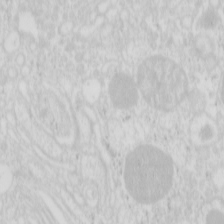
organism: Mouse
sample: Pancreas